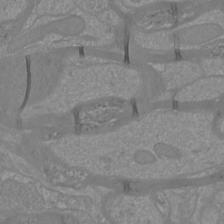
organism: Mouse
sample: Cortical neurons